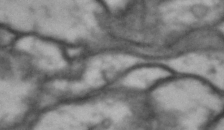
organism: Drosophila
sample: Brain